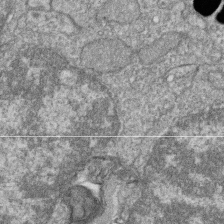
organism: Zebrafish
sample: Cilia; retinal pigment epithelium